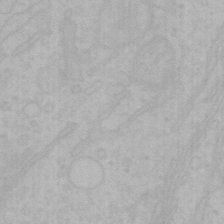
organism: Mouse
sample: Choroid plexus